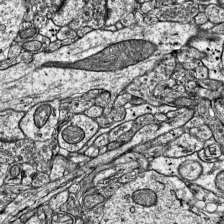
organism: Mouse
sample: Visual Cortex